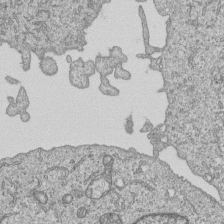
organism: Human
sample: MDA-MB-231 cells